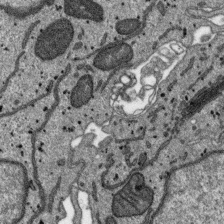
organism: Human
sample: Lung epithelial cells, uninfected (mock) control